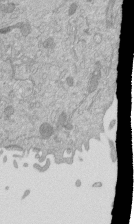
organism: Mouse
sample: ED-1 cell nuclei; centrioles